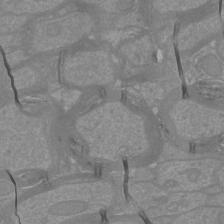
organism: Mouse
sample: Cortical neurons